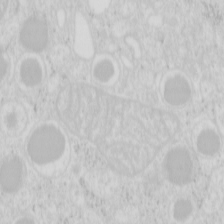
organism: Mouse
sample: Pancreas